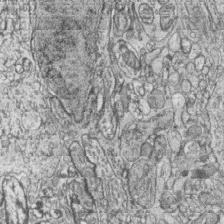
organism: Zebrafish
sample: synaptic ribbons in rod cells and cone cells